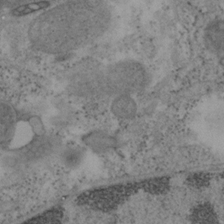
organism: Mouse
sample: OT-I killer T cells with ID8 ovarian cancer cells